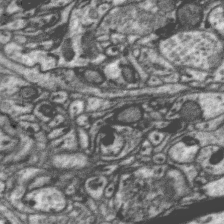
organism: Zebra finch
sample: Brain